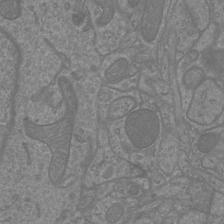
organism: Mouse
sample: Cortical neurons